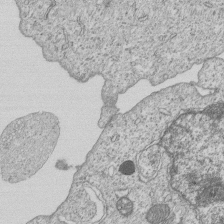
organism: Human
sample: MDA-MB-231 cells